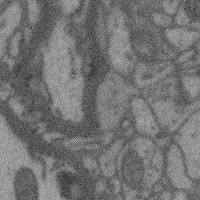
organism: Mouse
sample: Cerebral cortex